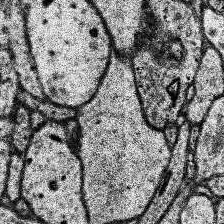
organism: Human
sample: Temporal Lobe